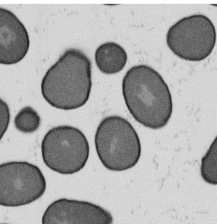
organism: B. subtilis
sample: Bacterial spore